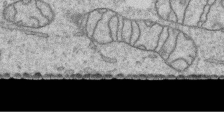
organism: Human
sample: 1205lu cells